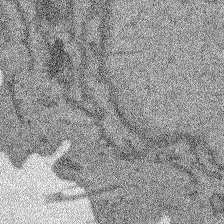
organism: Human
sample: HeLa cells